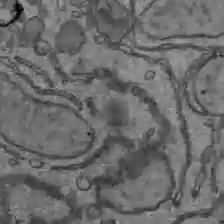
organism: C57BL Mouse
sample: Liver